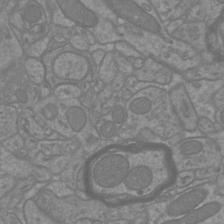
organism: Mouse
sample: Cortical neurons